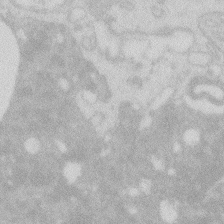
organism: Zebrafish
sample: Macrophage